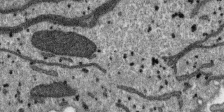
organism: Human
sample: Lung epithelial cells, uninfected (mock) control